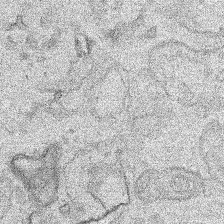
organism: Human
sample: Mitochondria in HCT116 cells